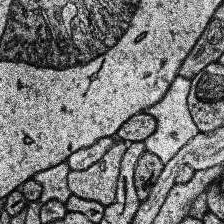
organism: Human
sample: Temporal Lobe